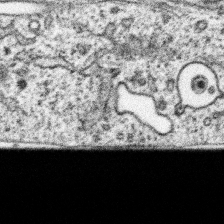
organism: Human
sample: HeLa cells